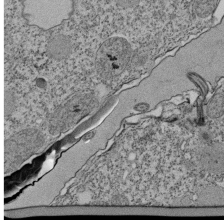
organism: Tetrahymena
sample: Cilia in tetrahymena